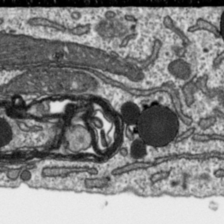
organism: Toxoplasma gondii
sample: Parasites in a vacuole inside a host cell